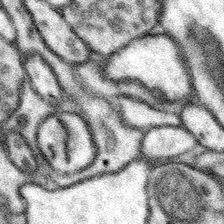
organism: Mouse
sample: Somatosensory cortex neuropil